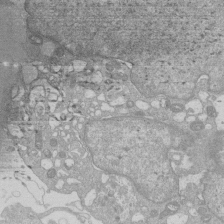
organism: Human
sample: Macrophage cells